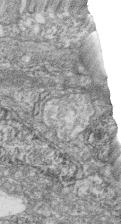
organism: Zebrafish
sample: Cilia; retinal pigment epithelium